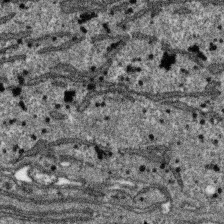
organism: Human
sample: Lung epithelial cells infected with SARS-CoV-2